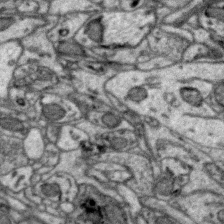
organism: Zebra finch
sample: Brain